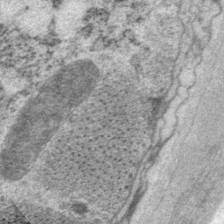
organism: P. pacificus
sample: Pharynx